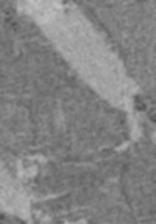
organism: C57BL Mouse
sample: Heart